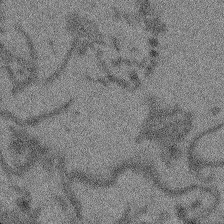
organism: Arabidopsis thaliana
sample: Root tip